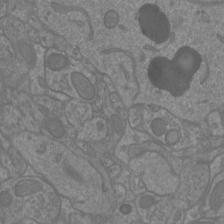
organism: Mouse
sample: Cortical neurons